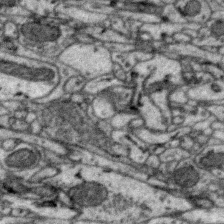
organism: Zebra finch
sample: Brain